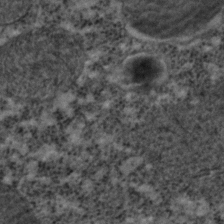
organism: C. elegans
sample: C. elegans embryo